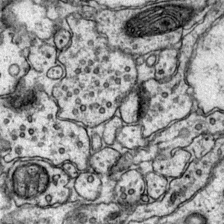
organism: Mouse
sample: Primary visual cortex